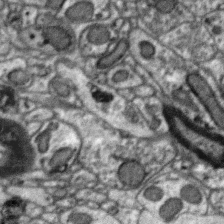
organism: Zebra finch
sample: Brain